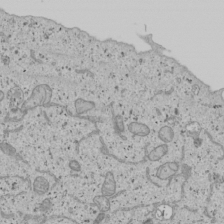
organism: Human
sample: Mitochondria in U2OS cells